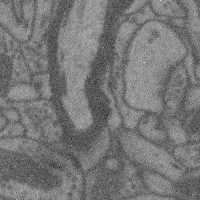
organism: Mouse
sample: Cerebral cortex